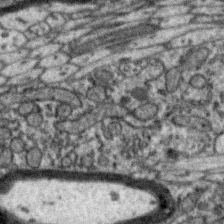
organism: Zebra finch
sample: Brain